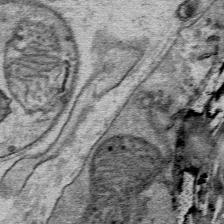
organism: Mouse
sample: Mouse Salivary gland